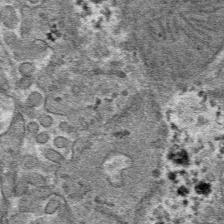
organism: Mouse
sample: Mouse hepatocytes